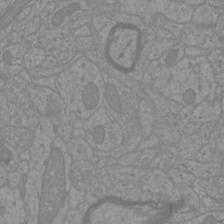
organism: Mouse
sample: Cortical neurons